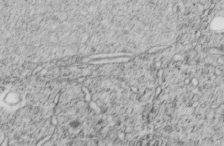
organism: C. elegans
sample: C. elegans embryo early stage